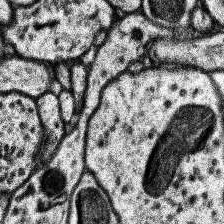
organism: Human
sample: Temporal Lobe